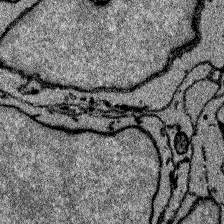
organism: Zebrafish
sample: Larval olfactory bulb